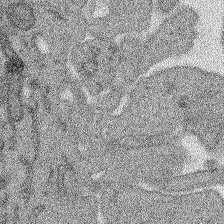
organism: Human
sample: HeLa cells